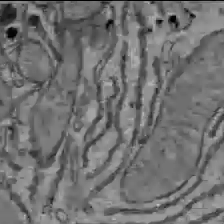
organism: C57BL Mouse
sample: Liver